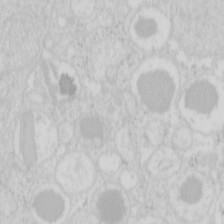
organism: Mouse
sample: Pancreas